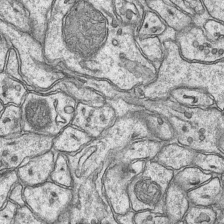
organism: Mouse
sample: CA1 Hippocampus